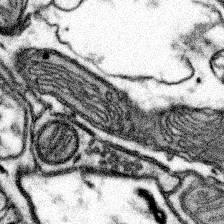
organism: Mouse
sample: Somatosensory cortex neuropil